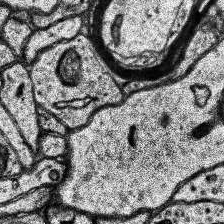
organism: Human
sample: Temporal Lobe